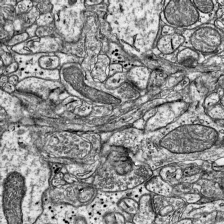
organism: Mouse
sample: Visual Cortex